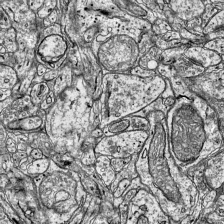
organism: Mouse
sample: Visual Cortex